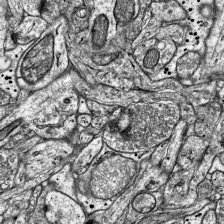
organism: Mouse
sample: Visual Cortex